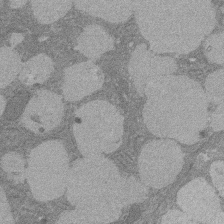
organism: Rat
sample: Salivary granule